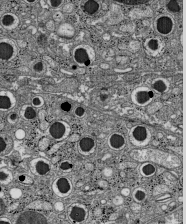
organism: C57BL Mouse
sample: Pancreatic islet